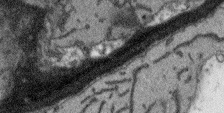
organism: Arabidopsis thaliana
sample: Root tip